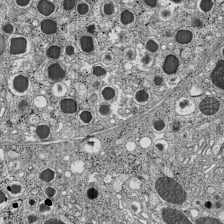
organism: C57BL Mouse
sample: Pancreatic islet